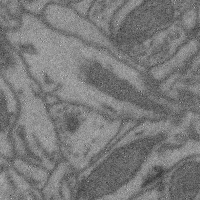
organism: Mouse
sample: Cerebral cortex